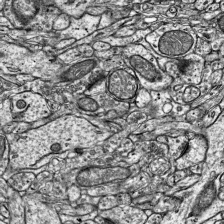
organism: Mouse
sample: Visual Cortex